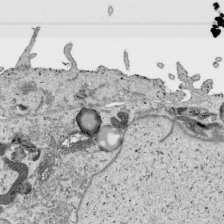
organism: Human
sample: Mitochondria in HCT116 cells